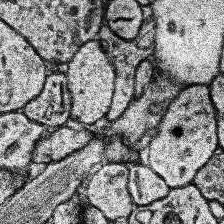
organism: Human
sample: Temporal Lobe